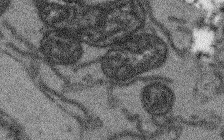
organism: Arabidopsis thaliana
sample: Root tip